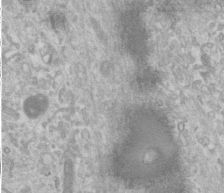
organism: Human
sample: Cilia; basal body in RPE cells